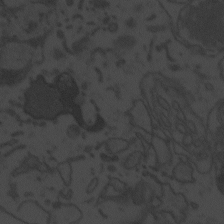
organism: Zebrafish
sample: Macrophage infected with Toxoplasma gondii